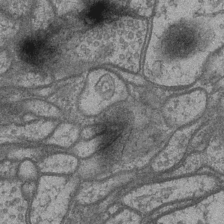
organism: Drosophila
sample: Optic medulla